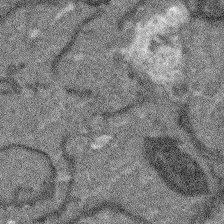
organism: Arabidopsis thaliana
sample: Root tip